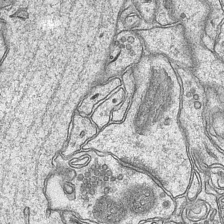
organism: Mouse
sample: CA1 Hippocampus